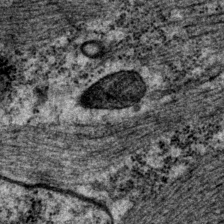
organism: P. pacificus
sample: Pharynx